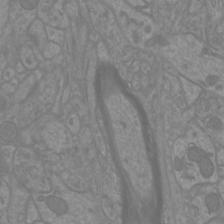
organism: Mouse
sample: Cortical neurons